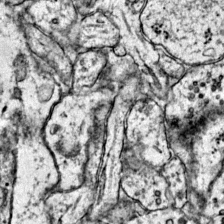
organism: Mouse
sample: Primary visual cortex